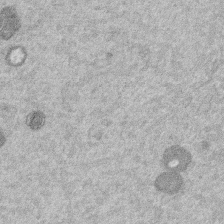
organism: Mouse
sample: Dividing mouse embryo 1 cell stage